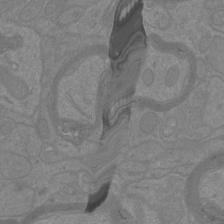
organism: Mouse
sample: Cortical neurons